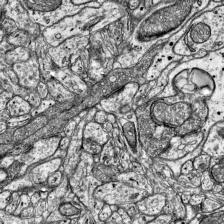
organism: Mouse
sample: Visual Cortex